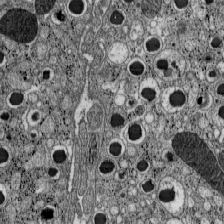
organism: C57BL Mouse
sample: Pancreatic islet